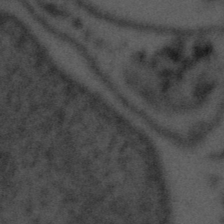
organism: Tuwongella immobilis